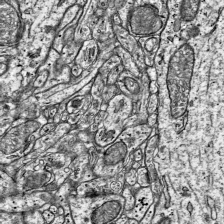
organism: Mouse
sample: Visual Cortex